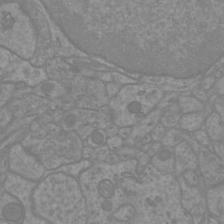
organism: Mouse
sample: Cortical neurons